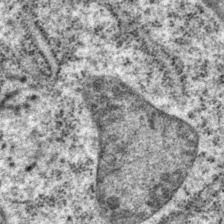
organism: P. pacificus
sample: Pharynx